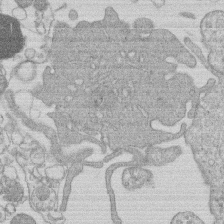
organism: Human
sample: Macrophage cells